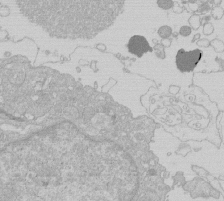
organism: Human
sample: Macrophage cells